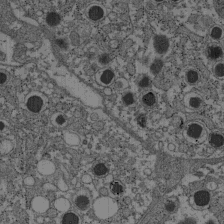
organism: C57BL Mouse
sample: Pancreatic islet